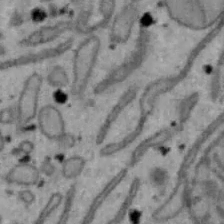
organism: Mouse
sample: Liver